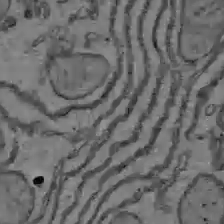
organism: C57BL Mouse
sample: Liver